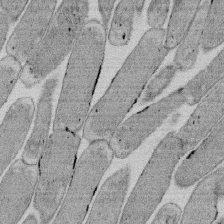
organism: E. coli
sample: Bacterial nucleoid